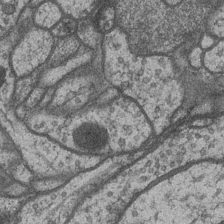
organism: Drosophila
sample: Optic medulla